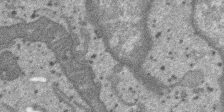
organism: Human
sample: Lung epithelial cells infected with SARS-CoV-2